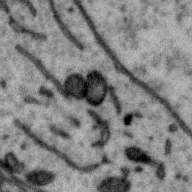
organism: Zebra finch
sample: Brain